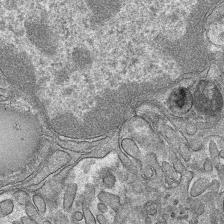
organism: Mouse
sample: Mouse hepatocytes